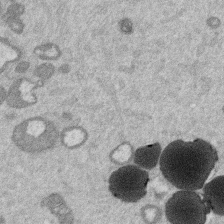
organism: Mouse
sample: Dividing mouse embryo 1 cell stage